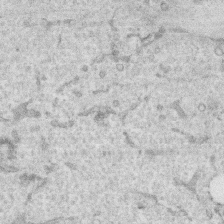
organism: Human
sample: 1205lu cells